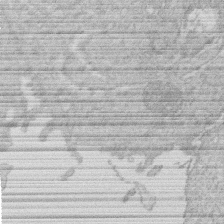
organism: Human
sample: Macrophage cells